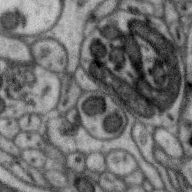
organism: Zebra finch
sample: Brain